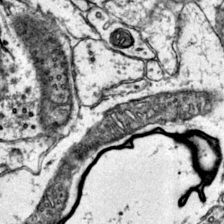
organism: Mouse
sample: Primary visual cortex